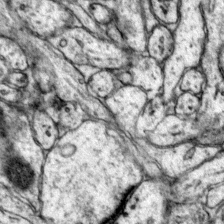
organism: Mouse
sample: Primary visual cortex